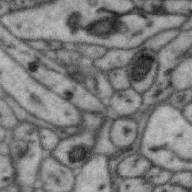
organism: Zebra finch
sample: Brain